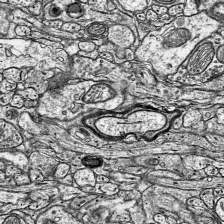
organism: Mouse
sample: Visual Cortex